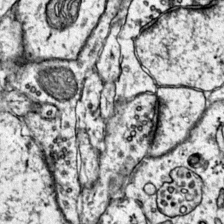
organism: Mouse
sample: Primary visual cortex